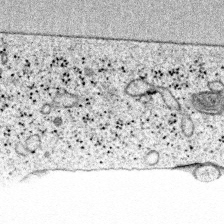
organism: Human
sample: HeLa cells